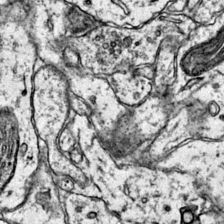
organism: Mouse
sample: Primary visual cortex